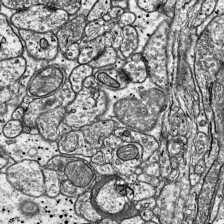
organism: Mouse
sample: Visual Cortex